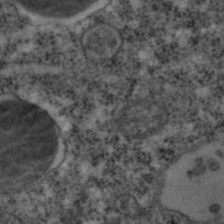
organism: C. elegans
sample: C. elegans embryo